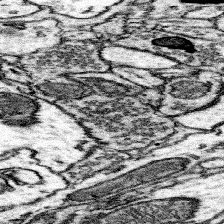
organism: Mouse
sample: Somatosensory cortex neuropil